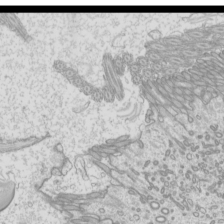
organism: Mouse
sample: Cilia; mouse epididymis